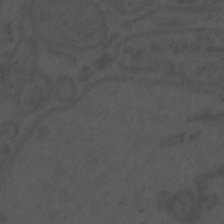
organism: Mouse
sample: Suprachiasmatic nucleus